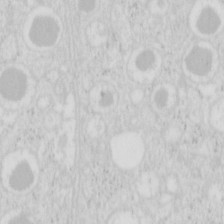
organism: Mouse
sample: Pancreas